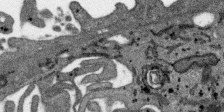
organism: Human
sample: Lung epithelial cells, uninfected (mock) control